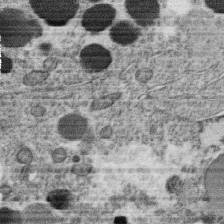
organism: C. elegans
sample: C. elegans oocyte; sperm cells